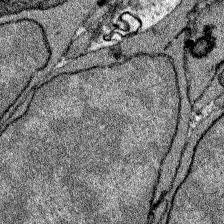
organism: Zebrafish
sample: Larval olfactory bulb